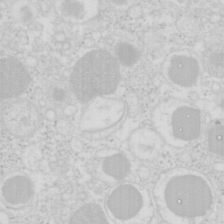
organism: Mouse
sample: Pancreas